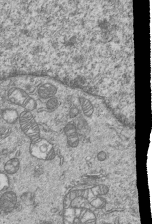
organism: Human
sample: MDA-MB-231 cells